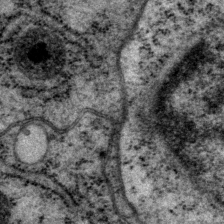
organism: P. pacificus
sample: Pharynx